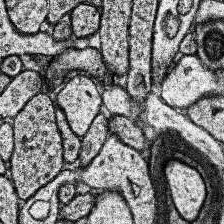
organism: Human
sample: Temporal Lobe